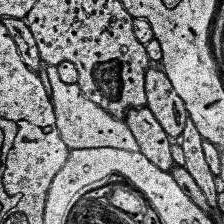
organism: Human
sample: Temporal Lobe